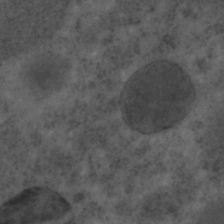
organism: C. elegans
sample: C. elegans embryo